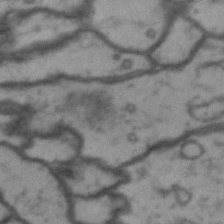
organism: Drosophila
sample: Brain